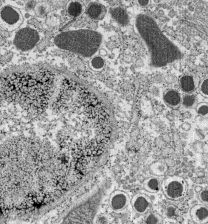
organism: C57BL Mouse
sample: Pancreatic islet